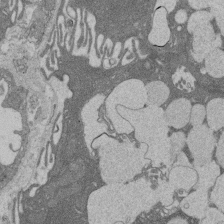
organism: Rat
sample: Salivary granule